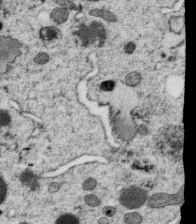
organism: C. elegans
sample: C. elegans oocyte; sperm cells